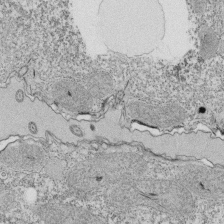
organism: Tetrahymena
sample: Cilia in tetrahymena